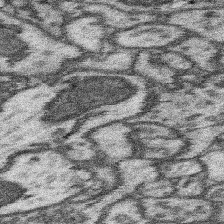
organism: Mouse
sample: Somatosensory cortex neuropil